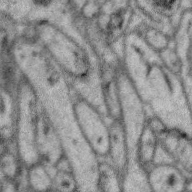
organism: Zebra finch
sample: Brain